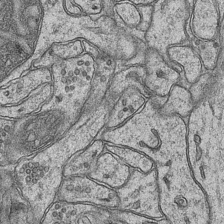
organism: Mouse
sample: CA1 Hippocampus